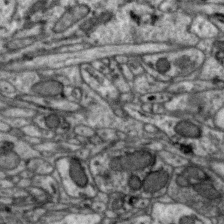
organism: Zebra finch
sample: Brain